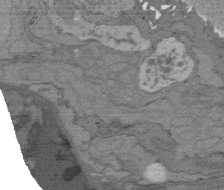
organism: C. elegans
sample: AFD neurons C. elegans